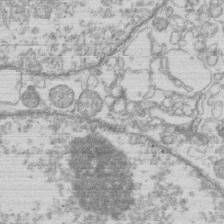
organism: Human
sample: Macrophage cells